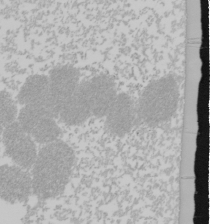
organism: Mouse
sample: Cancer cell death in ED-1 cells